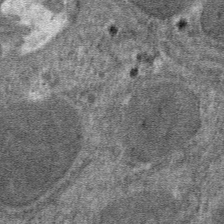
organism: Mouse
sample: Mouse hepatocytes